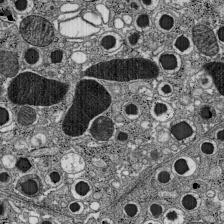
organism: C57BL Mouse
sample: Pancreatic islet